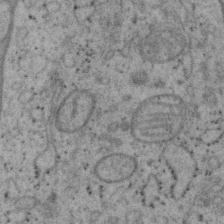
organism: Human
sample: HeLa cells